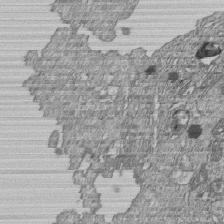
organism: Human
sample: MDA-MB-231 cells